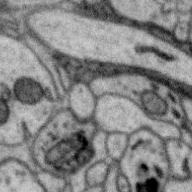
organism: Zebra finch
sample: Brain